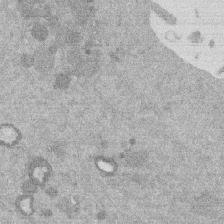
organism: Mouse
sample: Dividing mouse embryo 1 cell stage